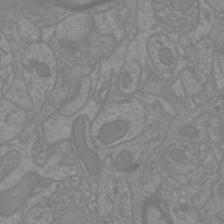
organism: Mouse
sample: Cortical neurons